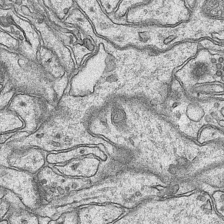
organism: Mouse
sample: CA1 Hippocampus